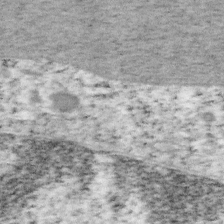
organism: Mouse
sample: OT-I killer T cells with ID8 ovarian cancer cells